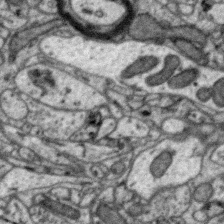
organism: Zebra finch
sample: Brain